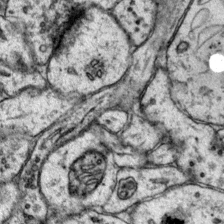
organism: Mouse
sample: Primary visual cortex